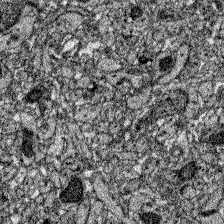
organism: Zebrafish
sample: Larval olfactory bulb